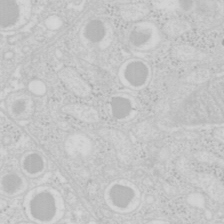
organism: Mouse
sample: Pancreas